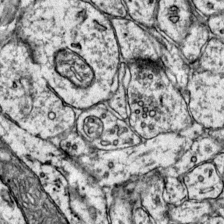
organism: Mouse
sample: Primary visual cortex